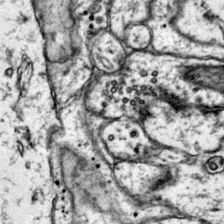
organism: Mouse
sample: Primary visual cortex